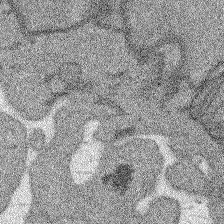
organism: Human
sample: HeLa cells